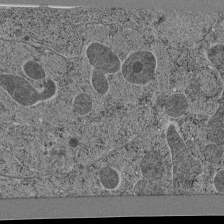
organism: C. elegans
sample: C. elegans pharynx